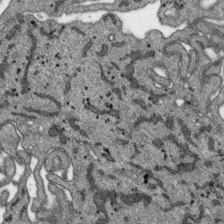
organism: Human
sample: Lung epithelial cells, uninfected (mock) control